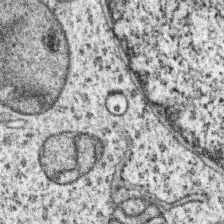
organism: Human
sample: HeLa cells